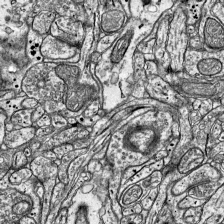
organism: Mouse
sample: Visual Cortex